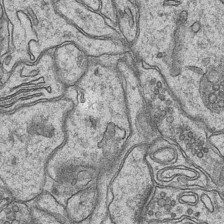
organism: Mouse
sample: CA1 Hippocampus